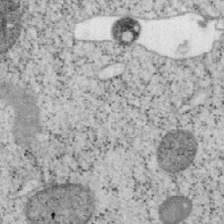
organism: Mouse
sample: OT-I killer T cells with ID8 ovarian cancer cells